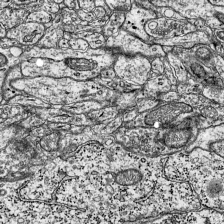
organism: Mouse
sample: Visual Cortex